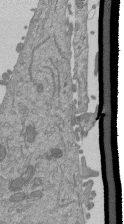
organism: Mouse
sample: ED-1 cell nuclei; centrioles